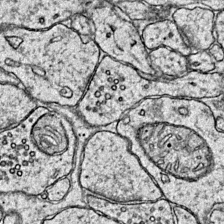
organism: Mouse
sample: Primary visual cortex